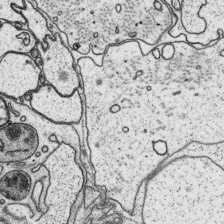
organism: Platynereis dumerilii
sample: Parapodia